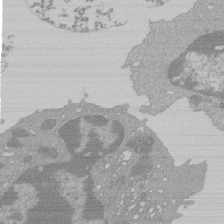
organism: Mouse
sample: Activated Pmel transgenic CD8+ T Cells